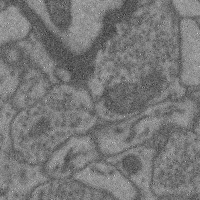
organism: Mouse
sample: Cerebral cortex